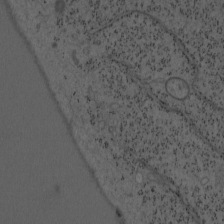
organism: Mouse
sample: OT-I killer T cells with ID8 ovarian cancer cells